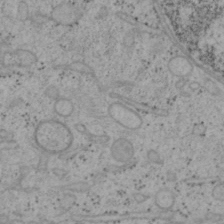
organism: Human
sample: HeLa cells